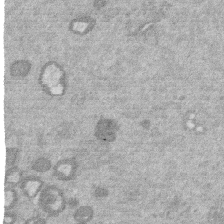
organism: Mouse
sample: Dividing mouse embryo 1 cell stage